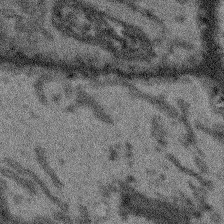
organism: Arabidopsis thaliana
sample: Root tip